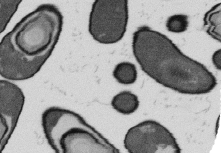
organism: B. subtilis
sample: Bacterial spore